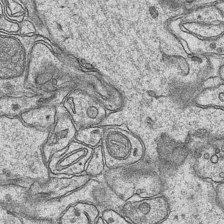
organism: Mouse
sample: CA1 Hippocampus